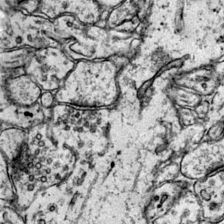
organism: Mouse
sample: Primary visual cortex